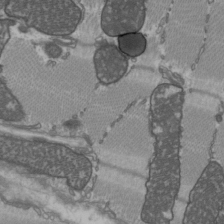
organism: C57BL Mouse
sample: Heart